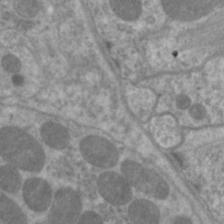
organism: C. elegans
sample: Pharynx